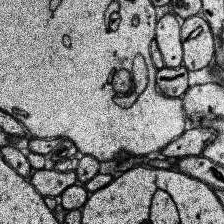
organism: Human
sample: Temporal Lobe